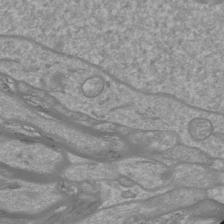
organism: Mouse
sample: Cortical neurons